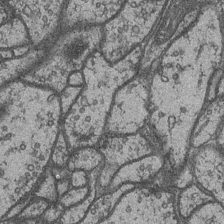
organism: Drosophila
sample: Optic medulla